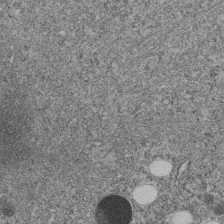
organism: C. elegans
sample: C. elegans embryo early stage